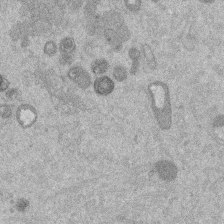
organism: Mouse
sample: Dividing mouse embryo 1 cell stage